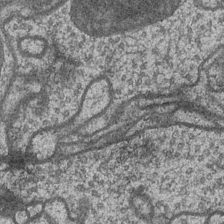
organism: Drosophila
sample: Optic medulla